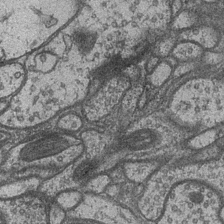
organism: Drosophila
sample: Optic medulla